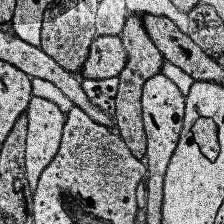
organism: Human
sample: Temporal Lobe